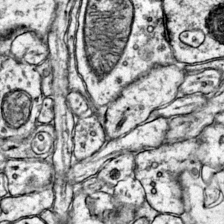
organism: Mouse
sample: Primary visual cortex